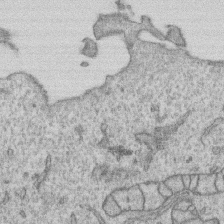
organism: Human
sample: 1205lu cells